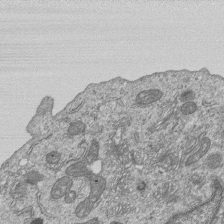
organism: Human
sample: MDA-MB-231 cells